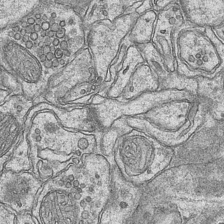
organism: Mouse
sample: CA1 Hippocampus